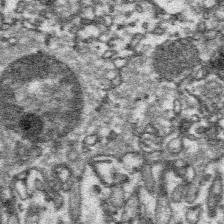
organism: Platynereis dumerilii